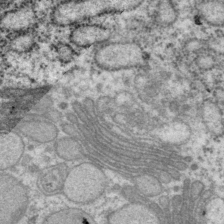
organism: P. pacificus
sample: Pharynx